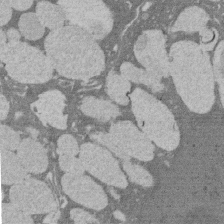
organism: Rat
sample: Salivary granule